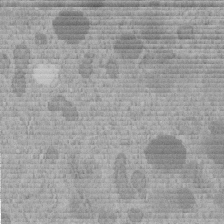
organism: C. elegans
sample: C. elegans embryo early stage